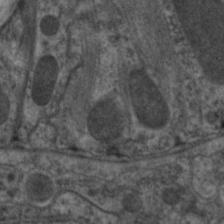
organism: C. elegans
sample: Pharynx